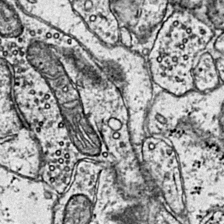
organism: Mouse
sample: Primary visual cortex